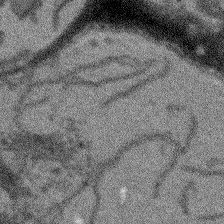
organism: Arabidopsis thaliana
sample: Root tip